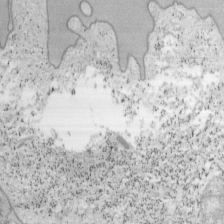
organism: Mouse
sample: OT-I killer T cells with ID8 ovarian cancer cells